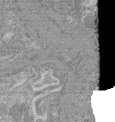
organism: Mouse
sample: Glomerulus